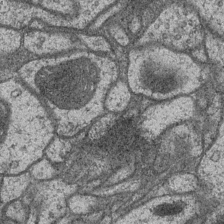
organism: Drosophila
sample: Optic medulla